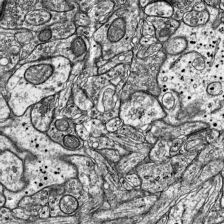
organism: Mouse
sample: Visual Cortex